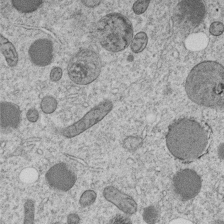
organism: C. elegans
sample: C. elegans embryo early stage